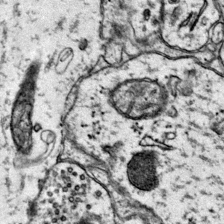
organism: Mouse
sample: Primary visual cortex